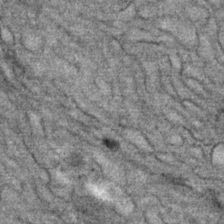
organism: Mouse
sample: Mouse Salivary gland